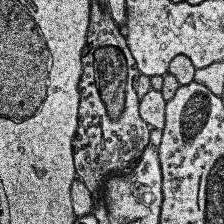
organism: Human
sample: Temporal Lobe